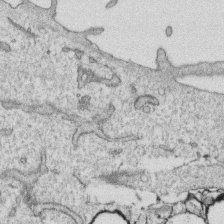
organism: Human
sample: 1205lu cells